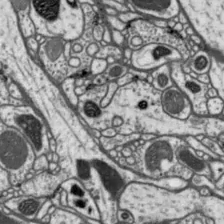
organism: Drosophila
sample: Protocerebral bridge